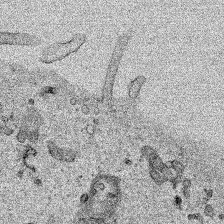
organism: Human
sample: Mitochondria in HCT116 cells